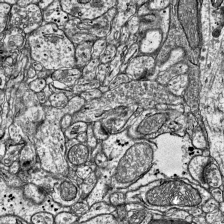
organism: Mouse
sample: Visual Cortex